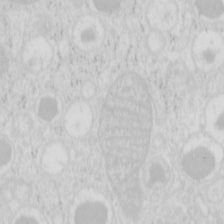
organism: Mouse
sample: Pancreas